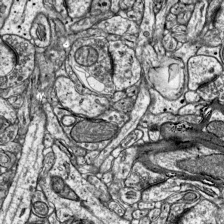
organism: Mouse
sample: Visual Cortex